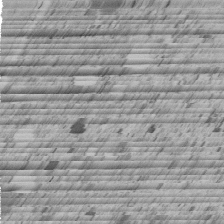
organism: C. elegans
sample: C. elegans embryo early stage